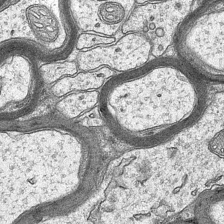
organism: Mouse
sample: CA1 Hippocampus